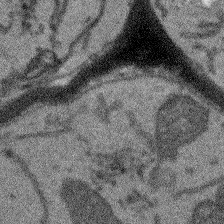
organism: Arabidopsis thaliana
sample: Root tip